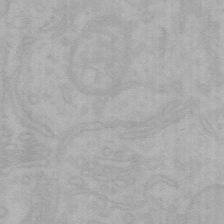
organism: Mouse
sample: Choroid plexus